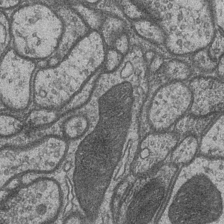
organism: Drosophila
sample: Optic medulla